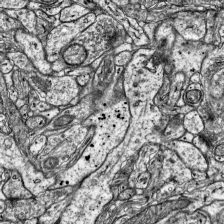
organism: Mouse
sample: Visual Cortex